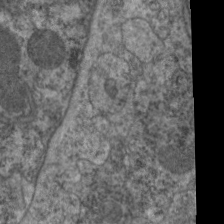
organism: C. elegans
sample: Pharynx